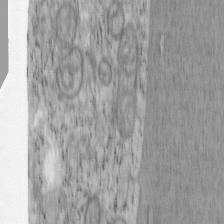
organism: Human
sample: HeLa cells